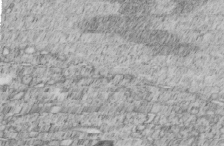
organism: C. elegans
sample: C. elegans embryo early stage